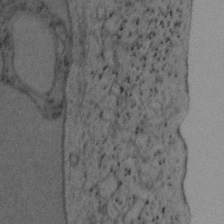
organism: Human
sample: HeLa cells